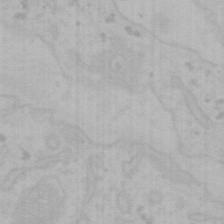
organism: Mouse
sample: Choroid plexus